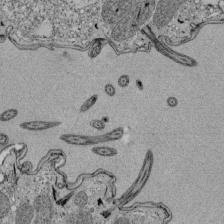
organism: Tetrahymena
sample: Cilia in tetrahymena